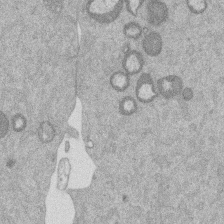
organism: Mouse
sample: Dividing mouse embryo 1 cell stage